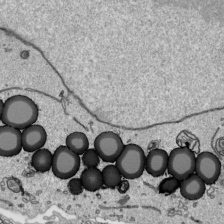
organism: Human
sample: Mitochondria in HCT116 cells